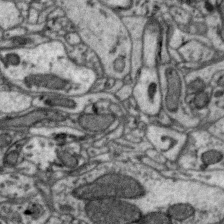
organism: Zebra finch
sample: Brain